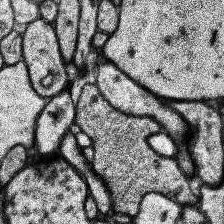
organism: Human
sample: Temporal Lobe